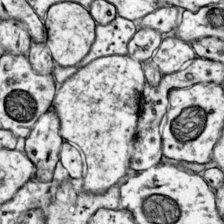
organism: Mouse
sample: Primary visual cortex